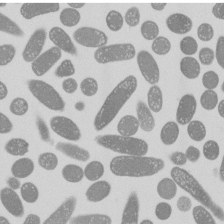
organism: E. coli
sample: Bacterial nucleoid